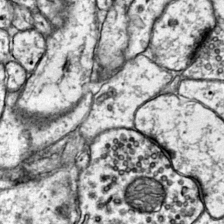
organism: Mouse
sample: Primary visual cortex